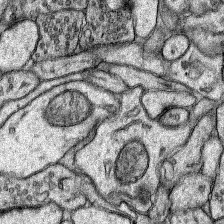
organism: Rat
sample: Hippocampus